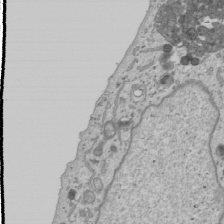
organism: Human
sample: Mitochondria in U2OS cells